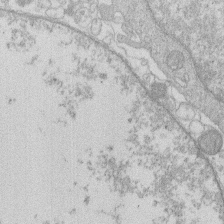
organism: Human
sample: Macrophage cells